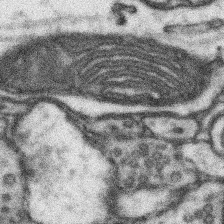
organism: Mouse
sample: Somatosensory cortex neuropil